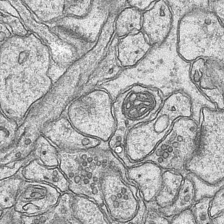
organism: Mouse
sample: CA1 Hippocampus